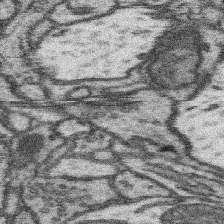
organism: Mouse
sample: Somatosensory cortex neuropil